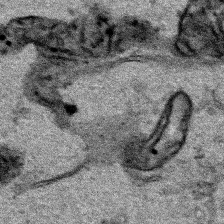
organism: Human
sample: Mitochondria in HCT116 cells